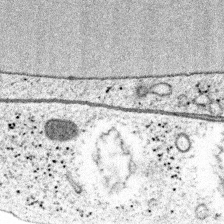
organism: Human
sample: HeLa cells